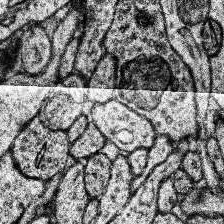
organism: Human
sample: Temporal Lobe